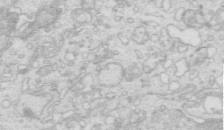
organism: Mouse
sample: Multiciliated cells